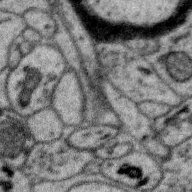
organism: Zebra finch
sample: Brain